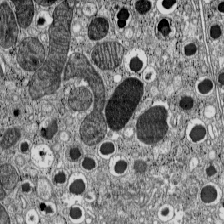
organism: C57BL Mouse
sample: Pancreatic islet